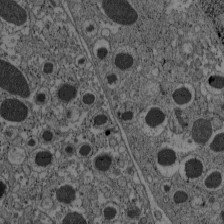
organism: C57BL Mouse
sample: Pancreatic islet